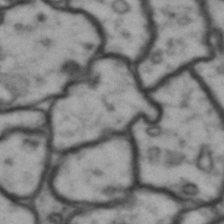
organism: Drosophila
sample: Brain